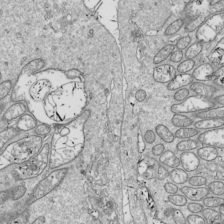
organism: Drosophila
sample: Cell division; meiosis; drosophila spermatocytes